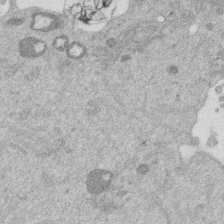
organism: Mouse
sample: Dividing mouse embryo 1 cell stage